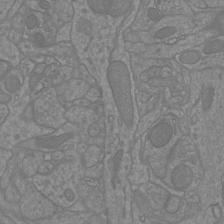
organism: Mouse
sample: Cortical neurons